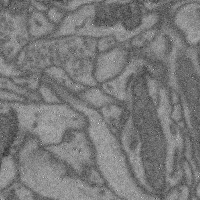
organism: Mouse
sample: Cerebral cortex